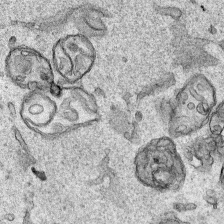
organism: Human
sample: Mitochondria in HCT116 cells